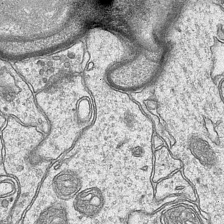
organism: Mouse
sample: CA1 Hippocampus